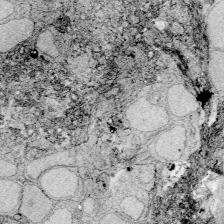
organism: Zebrafish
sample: Whole-Brain